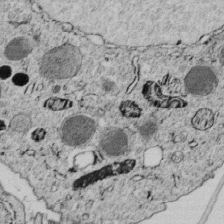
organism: C. elegans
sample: C. elegans embryo early stage